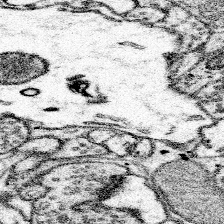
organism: Mouse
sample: Somatosensory cortex neuropil